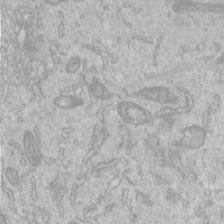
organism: Human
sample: Centriole in RPE cells